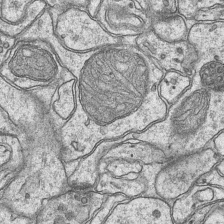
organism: Mouse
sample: CA1 Hippocampus